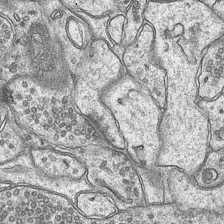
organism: Mouse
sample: CA1 Hippocampus